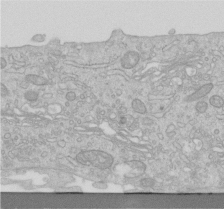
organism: Human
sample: Centriole in RPE cells